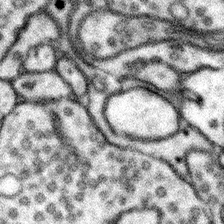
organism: Mouse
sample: Somatosensory cortex neuropil